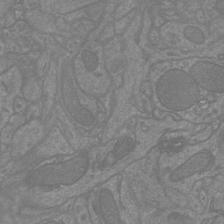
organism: Mouse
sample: Cortical neurons